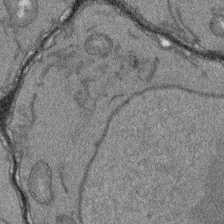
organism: Arabidopsis thaliana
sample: Root tip